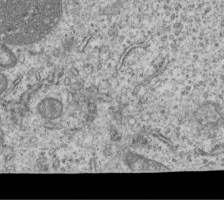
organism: Human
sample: MDA-MB-231 cells